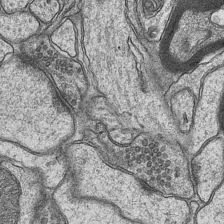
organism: Mouse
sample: CA1 Hippocampus